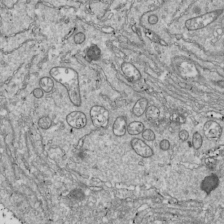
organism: Drosophila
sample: Cell division; meiosis; drosophila spermatocytes